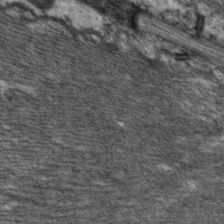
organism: C. elegans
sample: Pharynx